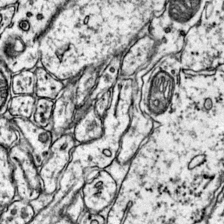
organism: Mouse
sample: Primary visual cortex